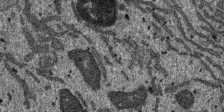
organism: Human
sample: Lung epithelial cells infected with SARS-CoV-2